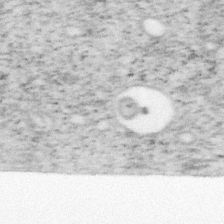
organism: Mouse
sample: OT-I killer T cells with ID8 ovarian cancer cells